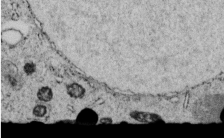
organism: C. elegans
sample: C. elegans embryo early stage